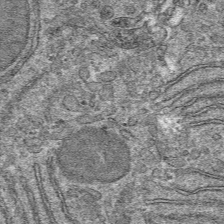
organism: Mouse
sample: Mouse hepatocytes